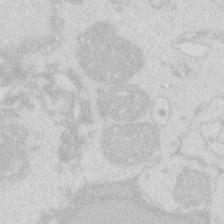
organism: Zebrafish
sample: Macrophage